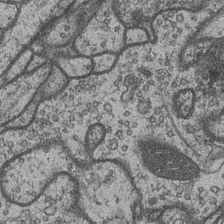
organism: Drosophila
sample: Optic medulla